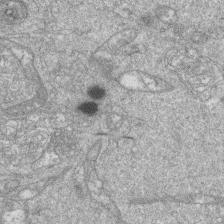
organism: Human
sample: HeLa cell HIV synapse